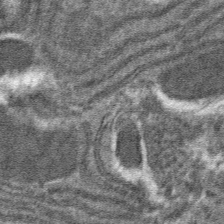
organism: Mouse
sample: Mouse hepatocytes